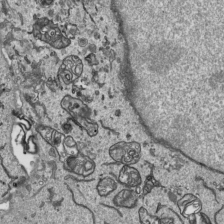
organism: Human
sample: Mitochondria in HCT116 cells